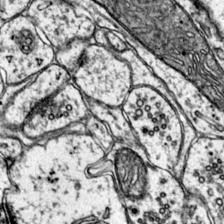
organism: Mouse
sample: Primary visual cortex